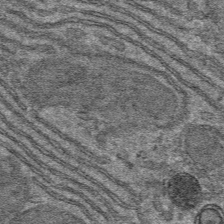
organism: Mouse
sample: Mouse hepatocytes